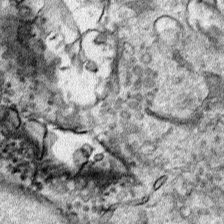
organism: Human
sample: Mitochondria in HCT116 cells